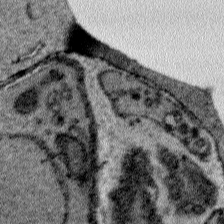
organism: Plasmodium falciparum